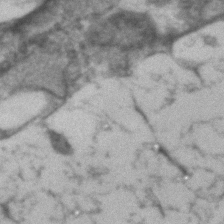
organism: Human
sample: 1205lu cells